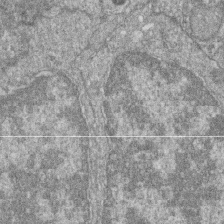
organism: Zebrafish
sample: Cilia; retinal pigment epithelium